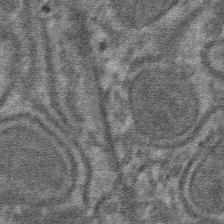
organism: Mouse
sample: Mouse hepatocytes